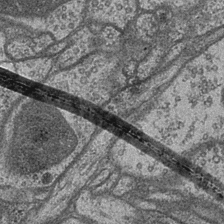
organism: Drosophila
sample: Optic medulla